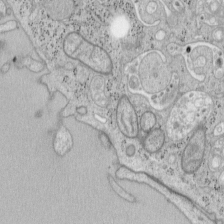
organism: Mouse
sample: OT-I killer T cells with ID8 ovarian cancer cells